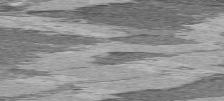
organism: C57BL Mouse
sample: Heart